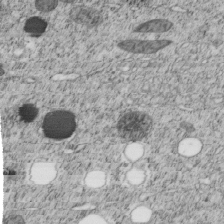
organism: C. elegans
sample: C. elegans embryo early stage